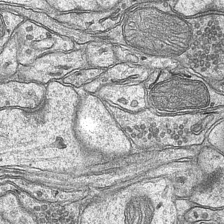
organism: Mouse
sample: CA1 Hippocampus